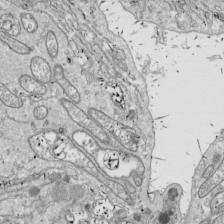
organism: Drosophila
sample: Cell division; meiosis; drosophila spermatocytes